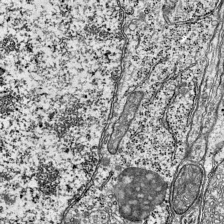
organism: Mouse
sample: Visual Cortex